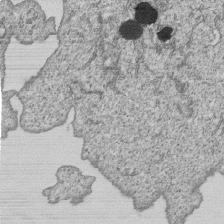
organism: Human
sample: MDA-MB-231 cells